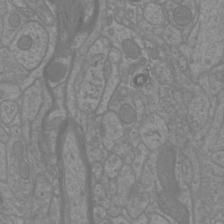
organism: Mouse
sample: Cortical neurons